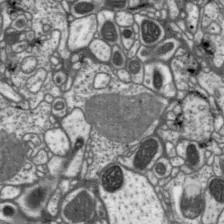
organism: Drosophila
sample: Protocerebral bridge